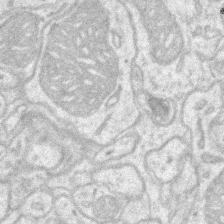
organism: Mouse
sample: CA1 Hippocampus